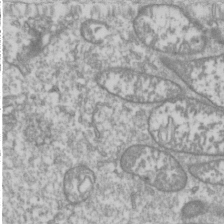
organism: Drosophila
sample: Cell division; meiosis; drosophila spermatocytes